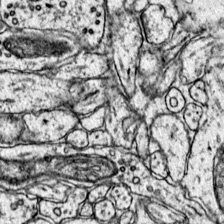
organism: Mouse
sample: Primary visual cortex